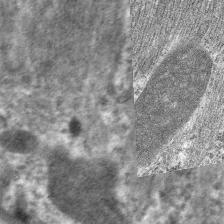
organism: C. elegans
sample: Pharynx